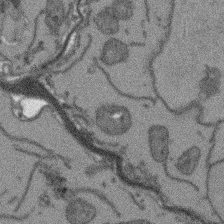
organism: Arabidopsis thaliana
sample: Root tip